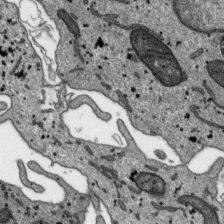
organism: Human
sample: Lung epithelial cells, uninfected (mock) control